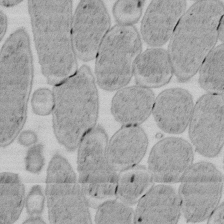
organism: E. coli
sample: Bacterial nucleoid